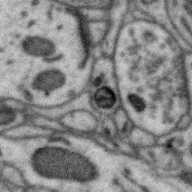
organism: Zebra finch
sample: Brain